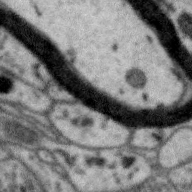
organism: Zebra finch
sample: Brain